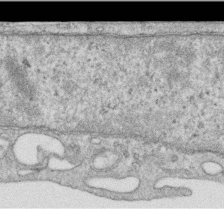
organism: Human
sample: Centriole in RPE cells